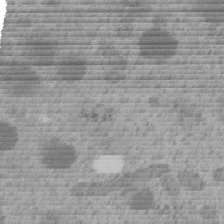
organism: C. elegans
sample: C. elegans embryo early stage